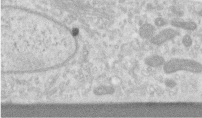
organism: Human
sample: Centriole in RPE cells